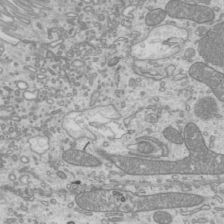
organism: Mouse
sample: Cilia; mouse epididymis